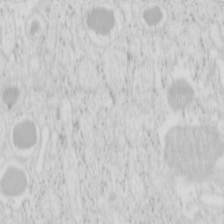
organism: Mouse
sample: Pancreas